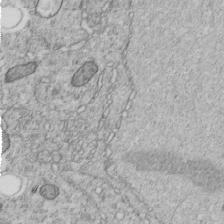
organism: C. elegans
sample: C. elegans embryo early stage